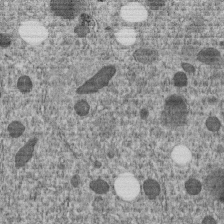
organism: C. elegans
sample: C. elegans embryo early stage